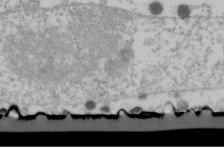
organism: Human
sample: U2-OS cells